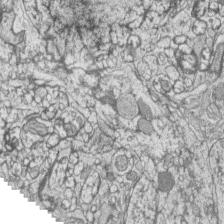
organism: Zebrafish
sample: synaptic ribbons in rod cells and cone cells